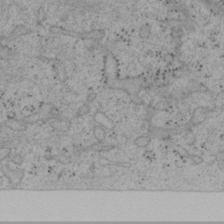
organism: Human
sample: HeLa cells